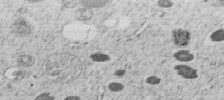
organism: C. elegans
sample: C. elegans embryo early stage